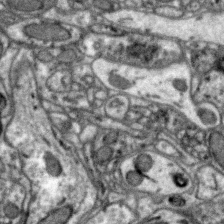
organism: Zebra finch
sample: Brain